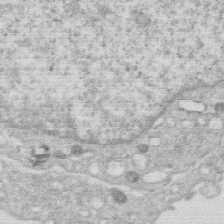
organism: Human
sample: Macrophage cells